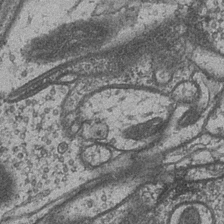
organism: Drosophila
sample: Optic medulla